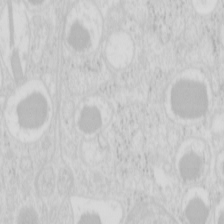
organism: Mouse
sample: Pancreas